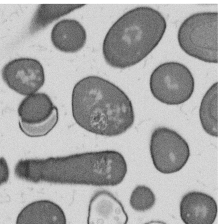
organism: B. subtilis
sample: Bacterial spore